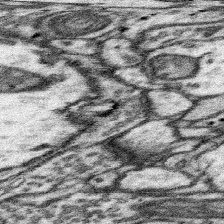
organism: Mouse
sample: Somatosensory cortex neuropil